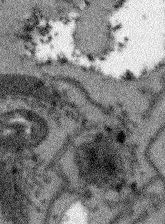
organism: Arabidopsis thaliana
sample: Root tip